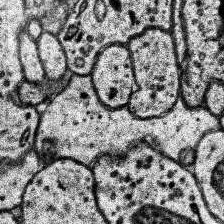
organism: Human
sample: Temporal Lobe